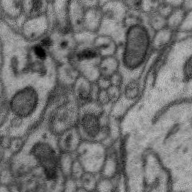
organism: Zebra finch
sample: Brain